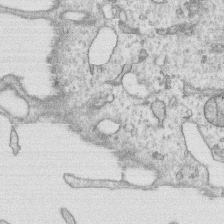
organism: Human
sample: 1205lu cells